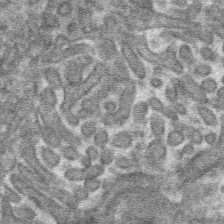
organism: Mouse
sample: Mouse hepatocytes